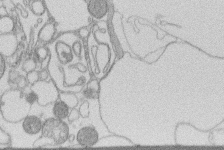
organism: Human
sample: Macrophage cells